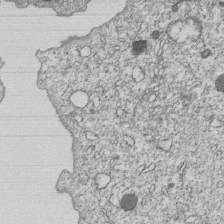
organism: Human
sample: MDA-MB-231 cells